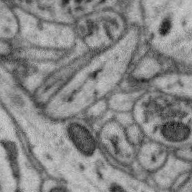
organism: Zebra finch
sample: Brain